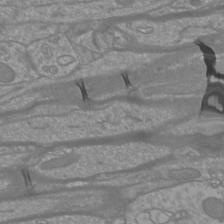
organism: Mouse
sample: Cortical neurons